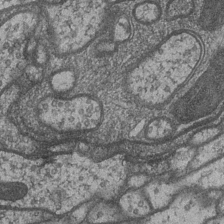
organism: Drosophila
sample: Optic medulla